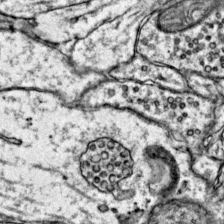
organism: Mouse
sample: Primary visual cortex